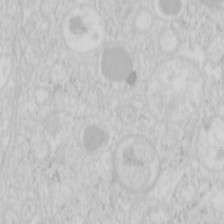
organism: Mouse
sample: Pancreas